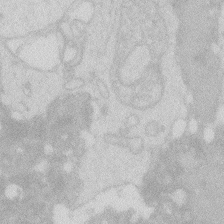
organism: Zebrafish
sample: Macrophage